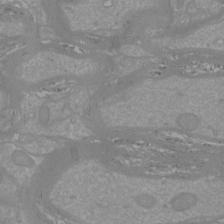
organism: Mouse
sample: Cortical neurons